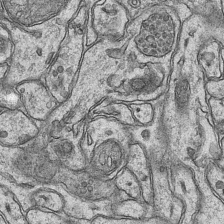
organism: Mouse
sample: CA1 Hippocampus